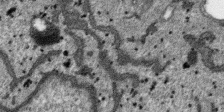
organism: Human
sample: Lung epithelial cells, uninfected (mock) control